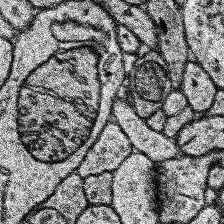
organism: Human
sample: Temporal Lobe